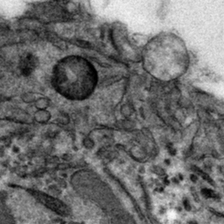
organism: Mouse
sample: Mouse hepatocytes